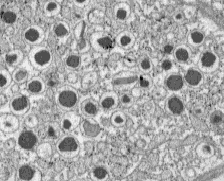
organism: C57BL Mouse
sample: Pancreatic islet